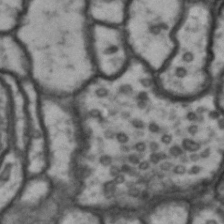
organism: Drosophila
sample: Brain